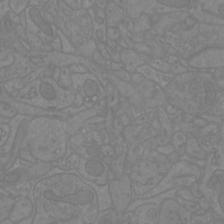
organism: Mouse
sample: Cortical neurons